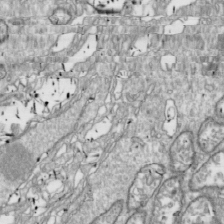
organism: Drosophila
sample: Cell division; meiosis; drosophila spermatocytes